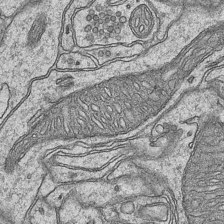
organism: Mouse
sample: CA1 Hippocampus